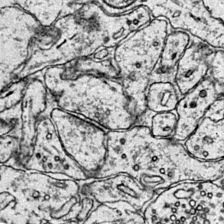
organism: Mouse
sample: Primary visual cortex